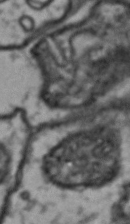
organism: Drosophila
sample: Brain